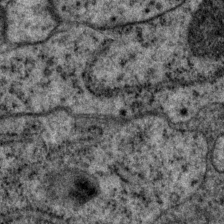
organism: P. pacificus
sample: Pharynx